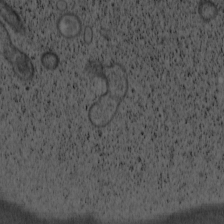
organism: African green monkey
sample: COS-7 cells